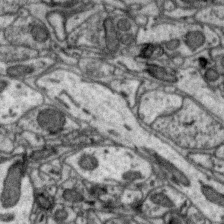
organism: Zebra finch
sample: Brain